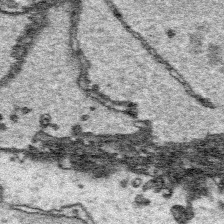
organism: Platynereis dumerilii